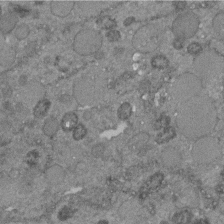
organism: C. elegans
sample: C. elegans embryo early stage